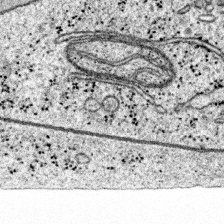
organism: Human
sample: HeLa cells